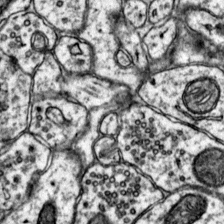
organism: Mouse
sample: Primary visual cortex